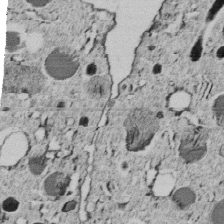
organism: C. elegans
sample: C. elegans embryo early stage